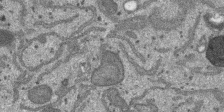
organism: Human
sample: Lung epithelial cells infected with SARS-CoV-2